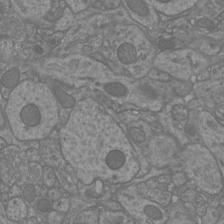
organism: Mouse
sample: Cortical neurons